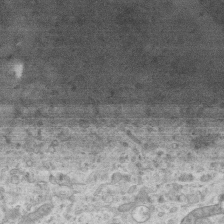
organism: Mouse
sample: Centriole in ependymal cells